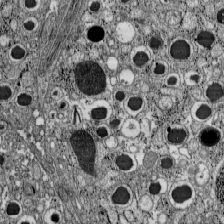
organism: C57BL Mouse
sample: Pancreatic islet